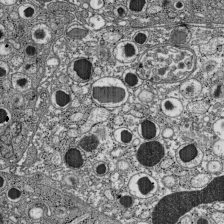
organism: C57BL Mouse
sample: Pancreatic islet